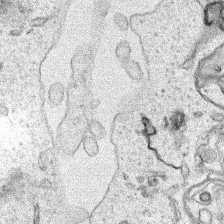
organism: Human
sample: Mitochondria in HCT116 cells